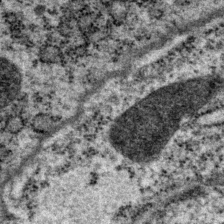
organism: P. pacificus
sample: Pharynx